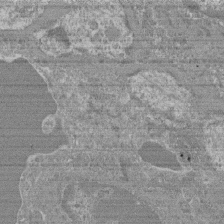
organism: Mouse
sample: Glomerulus